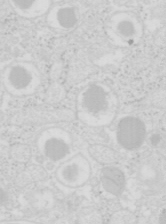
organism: Mouse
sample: Pancreas